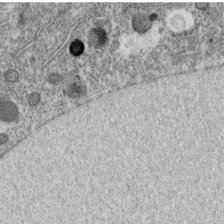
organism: C. elegans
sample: C. elegans oocyte; sperm cells